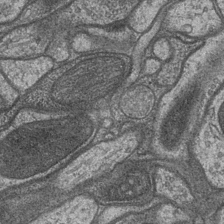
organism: Drosophila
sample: Optic medulla